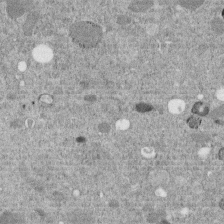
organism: C. elegans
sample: C. elegans embryo early stage